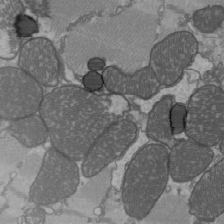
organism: C57BL Mouse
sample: Heart